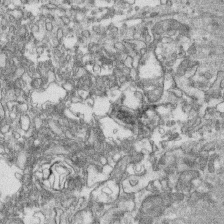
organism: Human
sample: CRL-1474